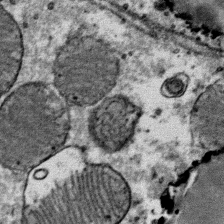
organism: Mouse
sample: Mouse Salivary gland